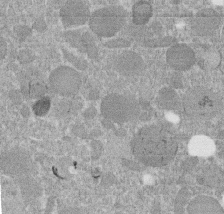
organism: C. elegans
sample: C. elegans embryo early stage